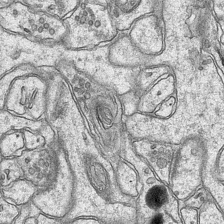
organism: Mouse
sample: CA1 Hippocampus